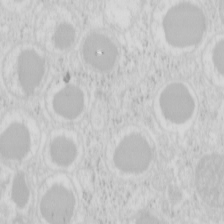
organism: Mouse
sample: Pancreas